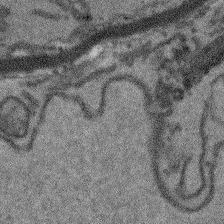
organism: Arabidopsis thaliana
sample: Root tip